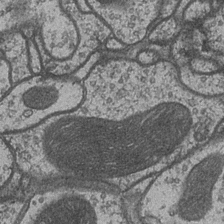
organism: Drosophila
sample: Optic medulla